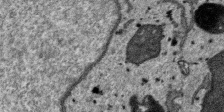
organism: Human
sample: Lung epithelial cells, uninfected (mock) control